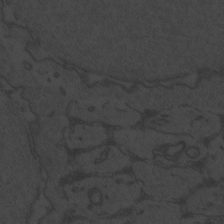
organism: Zebrafish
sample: Macrophage infected with Toxoplasma gondii